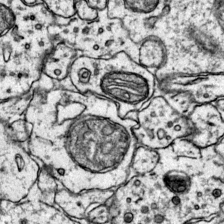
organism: Mouse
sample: Primary visual cortex